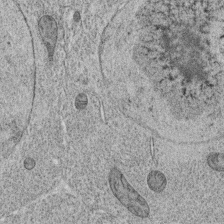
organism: C. elegans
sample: C. elegans oocyte; sperm cells